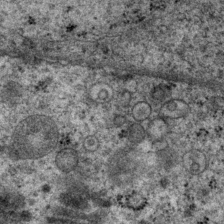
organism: P. pacificus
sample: Pharynx